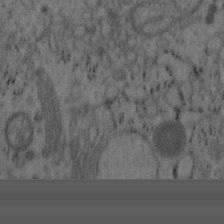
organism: Human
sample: HeLa cells